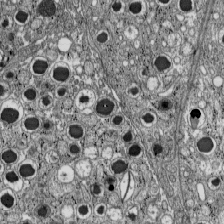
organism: C57BL Mouse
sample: Pancreatic islet